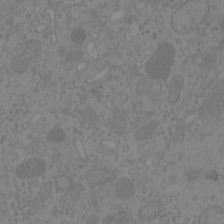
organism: Human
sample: HeLa cells